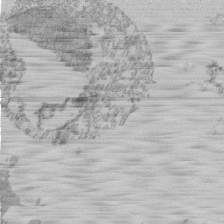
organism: Mouse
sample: Activated Pmel transgenic CD8+ T Cells